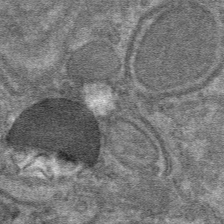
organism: Mouse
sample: Mouse hepatocytes